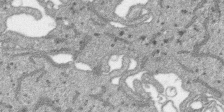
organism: Human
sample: Lung epithelial cells infected with SARS-CoV-2